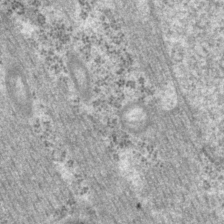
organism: P. pacificus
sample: Pharynx